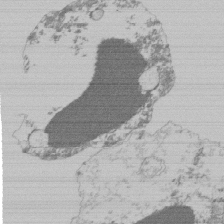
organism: Mouse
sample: Activated Pmel transgenic CD8+ T Cells